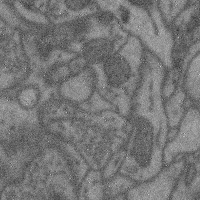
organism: Mouse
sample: Cerebral cortex